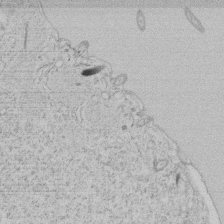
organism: Tetrahymena